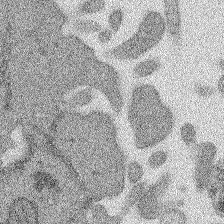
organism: Human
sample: HeLa cells